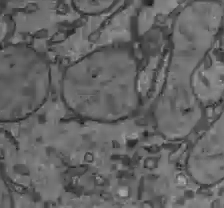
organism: C57BL Mouse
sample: Liver